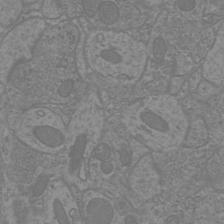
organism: Mouse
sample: Cortical neurons